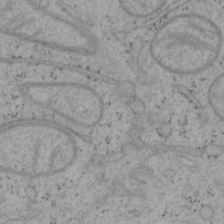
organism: Human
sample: HeLa cells